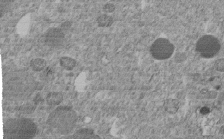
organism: C. elegans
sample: C. elegans embryo early stage